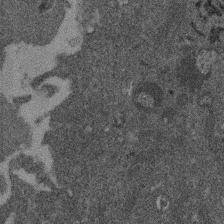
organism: Mouse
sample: Dividing mouse embryo 1 cell stage